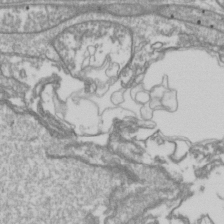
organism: Drosophila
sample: Cell division; meiosis; drosophila spermatocytes